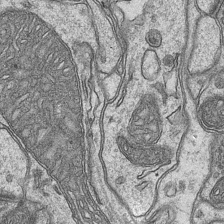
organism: Mouse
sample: CA1 Hippocampus